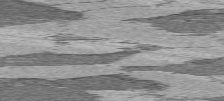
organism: C57BL Mouse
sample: Heart